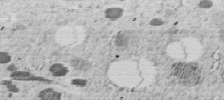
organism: C. elegans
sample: C. elegans embryo early stage